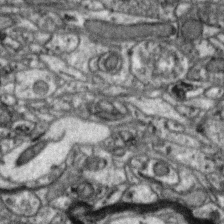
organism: Zebra finch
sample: Brain